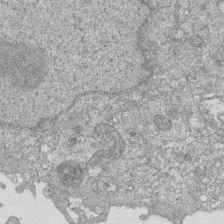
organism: Human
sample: HeLa cell HIV synapse